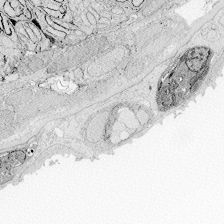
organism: Zebrafish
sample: Whole-Brain